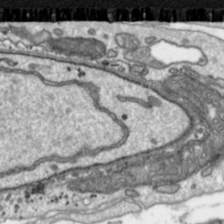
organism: Toxoplasma gondii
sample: Parasites in a vacuole inside a host cell